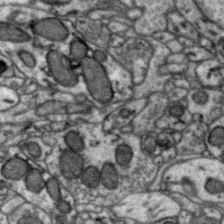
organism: Zebra finch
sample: Brain